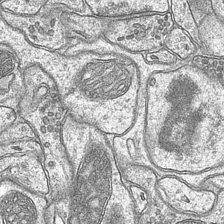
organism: Mouse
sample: CA1 Hippocampus